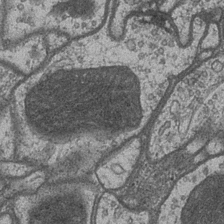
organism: Drosophila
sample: Optic medulla